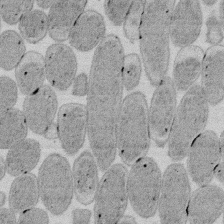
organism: E. coli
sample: Bacterial nucleoid